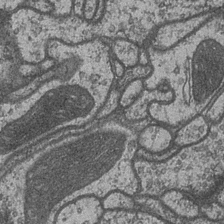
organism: Drosophila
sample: Optic medulla